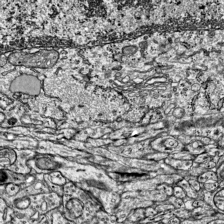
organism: Mouse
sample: Visual Cortex